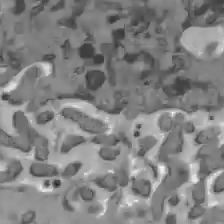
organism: C57BL Mouse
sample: Liver